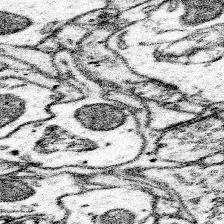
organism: Mouse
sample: Somatosensory cortex neuropil